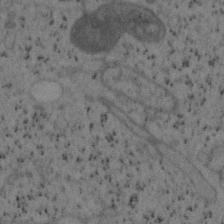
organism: Human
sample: HeLa cells